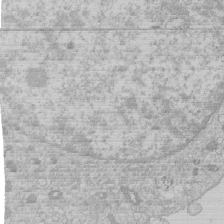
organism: Human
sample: Macrophage cells